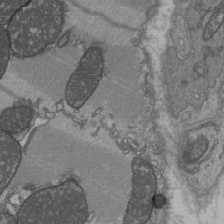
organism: C57BL Mouse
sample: Heart